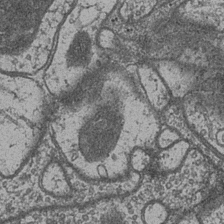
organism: Drosophila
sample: Optic medulla